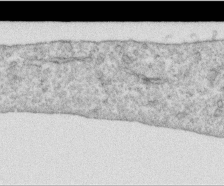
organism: Human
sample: Centriole in RPE cells